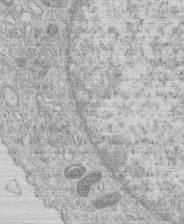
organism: Human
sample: Macrophage cells